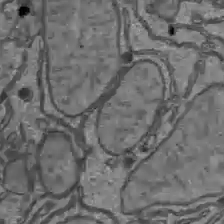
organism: C57BL Mouse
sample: Liver